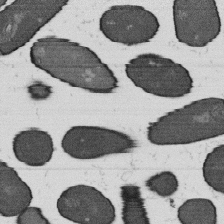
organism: B. subtilis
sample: Bacterial spore